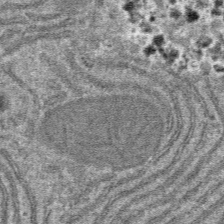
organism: Mouse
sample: Mouse hepatocytes